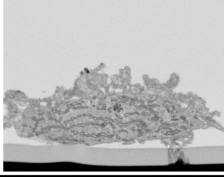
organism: Human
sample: Mitochondria in HCT116 cells